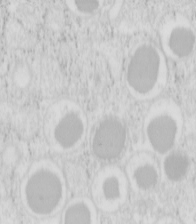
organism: Mouse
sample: Pancreas